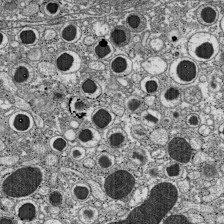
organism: C57BL Mouse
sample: Pancreatic islet